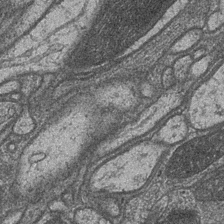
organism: Drosophila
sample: Optic medulla